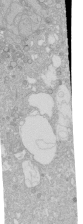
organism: Human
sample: Caco-2 cells